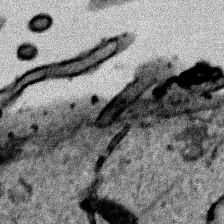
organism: Human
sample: Mitochondria in HCT116 cells